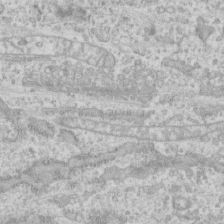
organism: Human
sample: CRL-1474